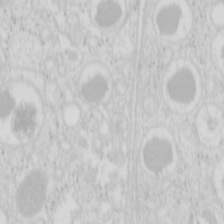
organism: Mouse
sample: Pancreas